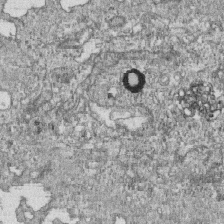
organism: Human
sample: HeLa cell HIV synapse